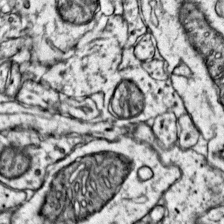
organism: Mouse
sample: Primary visual cortex